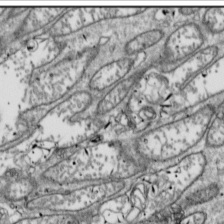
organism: Drosophila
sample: Cell division; meiosis; drosophila spermatocytes